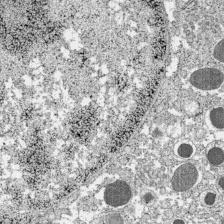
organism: C57BL Mouse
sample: Pancreatic islet